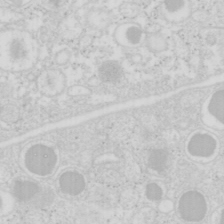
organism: Mouse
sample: Pancreas